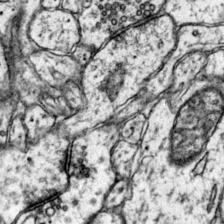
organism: Mouse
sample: Primary visual cortex